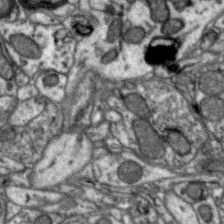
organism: Zebra finch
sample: Brain